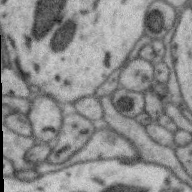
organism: Zebra finch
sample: Brain